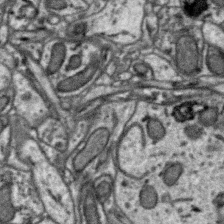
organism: Zebra finch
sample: Brain